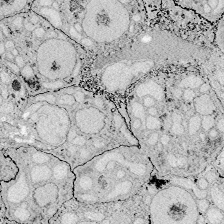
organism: Zebrafish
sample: Whole-Brain